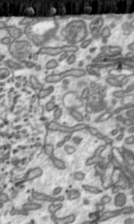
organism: Toxoplasma gondii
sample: Parasites in a vacuole inside a host cell